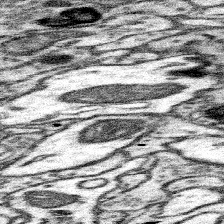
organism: Mouse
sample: Somatosensory cortex neuropil